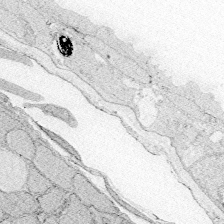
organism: Zebrafish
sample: Whole-Brain